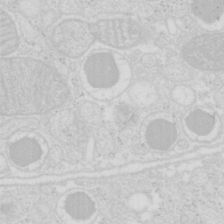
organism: Mouse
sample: Pancreas